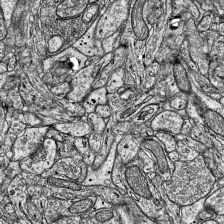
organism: Mouse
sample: Visual Cortex